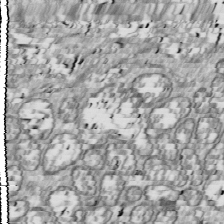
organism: Drosophila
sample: Cell division; meiosis; drosophila spermatocytes